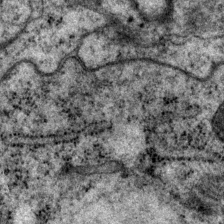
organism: P. pacificus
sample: Pharynx